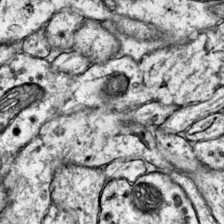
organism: Mouse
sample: Primary visual cortex